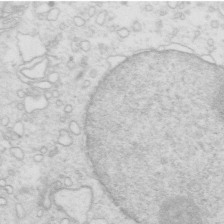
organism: Mouse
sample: Multiciliated cells